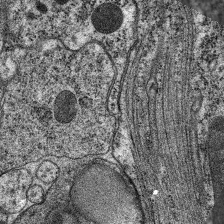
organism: C. elegans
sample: Pharynx